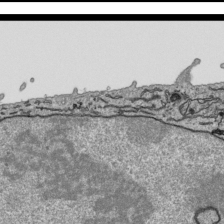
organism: Human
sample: Mitochondria in HCT116 cells